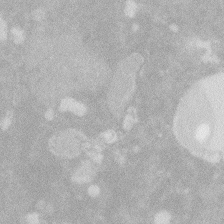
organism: Zebrafish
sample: Macrophage